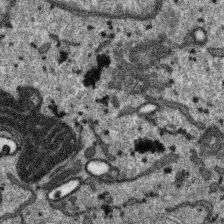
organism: Human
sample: Lung epithelial cells infected with SARS-CoV-2